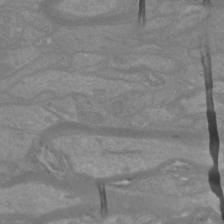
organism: Mouse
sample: Cortical neurons